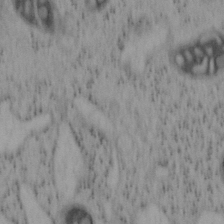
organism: Mouse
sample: OT-I killer T cells with ID8 ovarian cancer cells